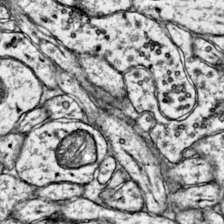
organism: Mouse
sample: Primary visual cortex